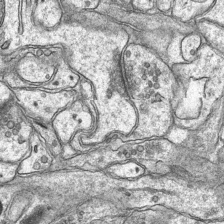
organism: Mouse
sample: CA1 Hippocampus